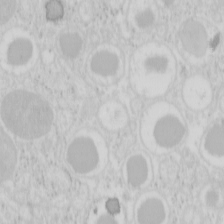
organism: Mouse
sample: Pancreas